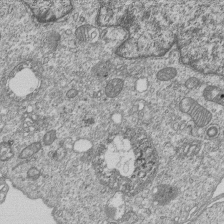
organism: Human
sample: MDA-MB-231 cells